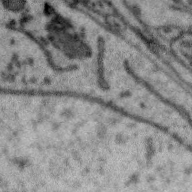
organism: Zebra finch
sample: Brain